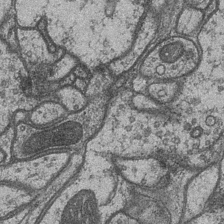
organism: Drosophila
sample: Optic medulla